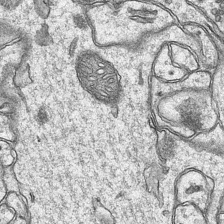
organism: Mouse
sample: CA1 Hippocampus